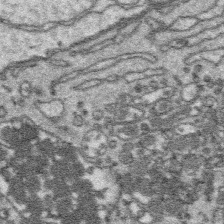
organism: Platynereis dumerilii